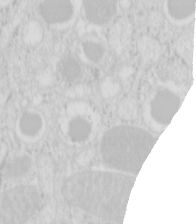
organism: Mouse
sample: Pancreas